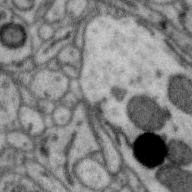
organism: Zebra finch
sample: Brain